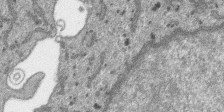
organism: Human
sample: Lung epithelial cells infected with SARS-CoV-2